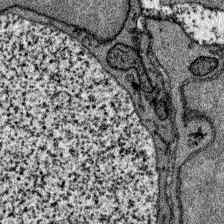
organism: Zebrafish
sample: Larval olfactory bulb